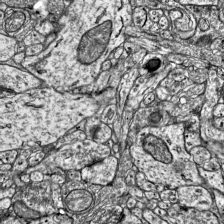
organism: Mouse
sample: Visual Cortex